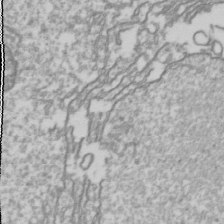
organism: Drosophila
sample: Cell division; meiosis; drosophila spermatocytes